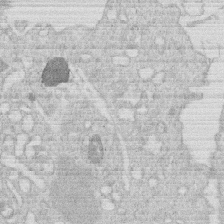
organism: Human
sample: Macrophage cells